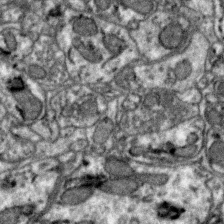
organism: Zebra finch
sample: Brain